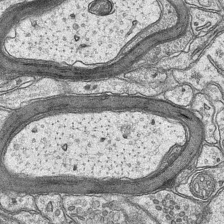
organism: Mouse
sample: CA1 Hippocampus